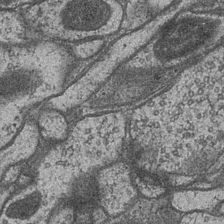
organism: Drosophila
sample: Optic medulla